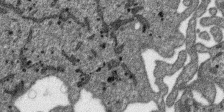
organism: Human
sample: Lung epithelial cells infected with SARS-CoV-2